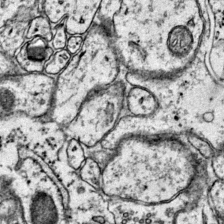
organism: Mouse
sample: Primary visual cortex